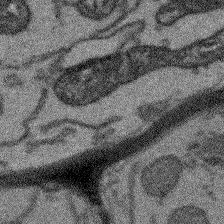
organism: Arabidopsis thaliana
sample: Root tip